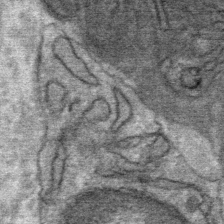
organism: Mouse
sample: Mouse Salivary gland